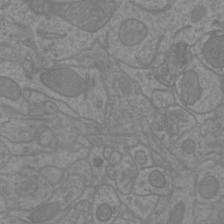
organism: Mouse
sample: Cortical neurons